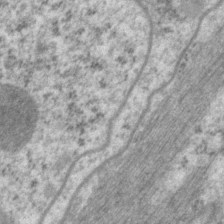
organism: P. pacificus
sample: Pharynx